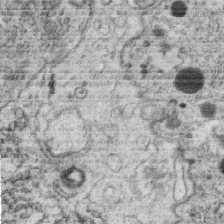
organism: C. elegans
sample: C. elegans oocyte; sperm cells